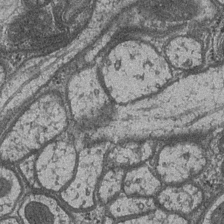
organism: Drosophila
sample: Optic medulla